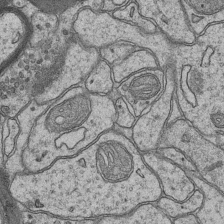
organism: Mouse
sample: CA1 Hippocampus